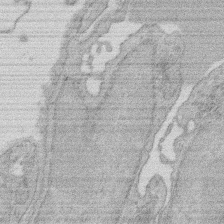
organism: Rat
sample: Salivary granule